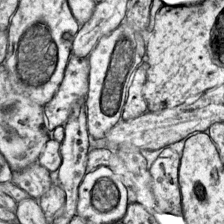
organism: Mouse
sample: Primary visual cortex